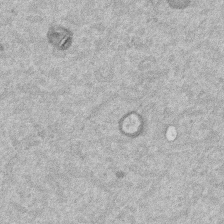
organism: Mouse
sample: Dividing mouse embryo 1 cell stage